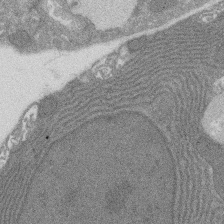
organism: Rat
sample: Salivary granule